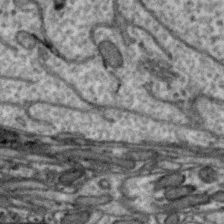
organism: Zebra finch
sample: Brain